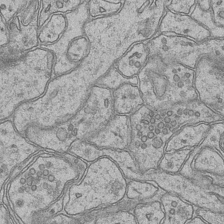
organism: Mouse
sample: CA1 Hippocampus